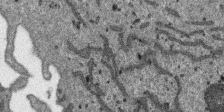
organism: Human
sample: Lung epithelial cells infected with SARS-CoV-2